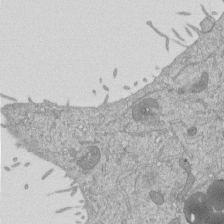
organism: Mouse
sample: ED-1 cell nuclei; centrioles